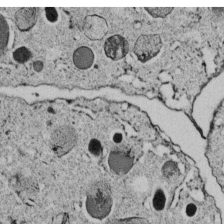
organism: C. elegans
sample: C. elegans embryo early stage